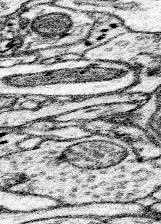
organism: Mouse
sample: Somatosensory cortex neuropil